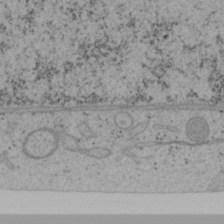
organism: Human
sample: HeLa cells